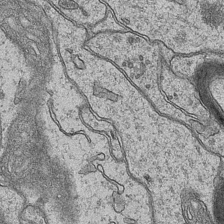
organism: Mouse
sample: CA1 Hippocampus